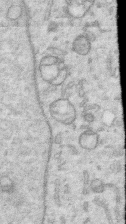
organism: Human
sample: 1205lu cells